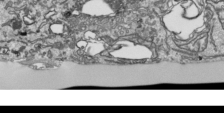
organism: Human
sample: Mitochondria in HCT116 cells